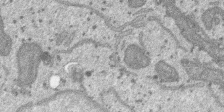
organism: Human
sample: Lung epithelial cells infected with SARS-CoV-2